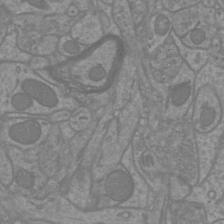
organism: Mouse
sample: Cortical neurons